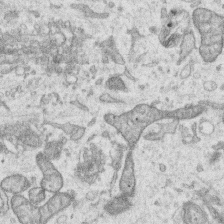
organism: Human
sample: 1205lu cells